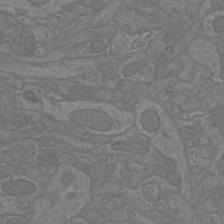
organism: Mouse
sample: Cortical neurons